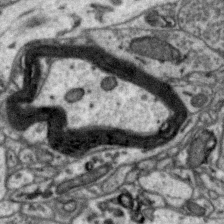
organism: Zebra finch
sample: Brain